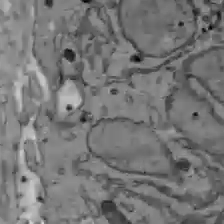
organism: C57BL Mouse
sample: Liver